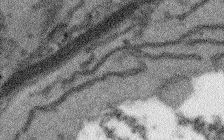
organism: Arabidopsis thaliana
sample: Root tip